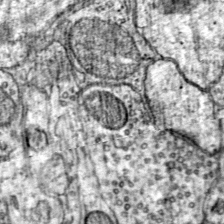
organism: Mouse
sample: Primary visual cortex